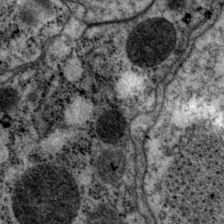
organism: P. pacificus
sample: Pharynx